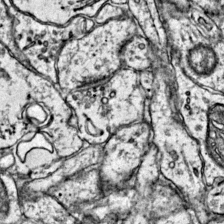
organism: Mouse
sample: Primary visual cortex